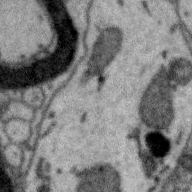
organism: Zebra finch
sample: Brain